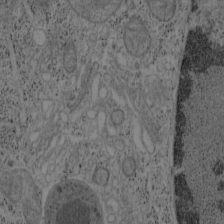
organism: Mouse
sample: OT-I killer T cells with ID8 ovarian cancer cells